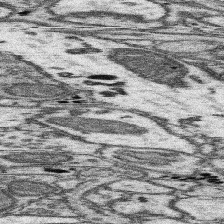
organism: Mouse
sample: Somatosensory cortex neuropil